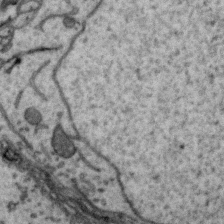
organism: Zebra finch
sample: Brain